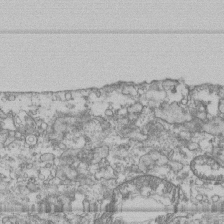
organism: Human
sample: Fibroblast cells